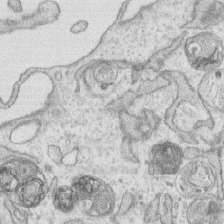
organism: Human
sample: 1205lu cells